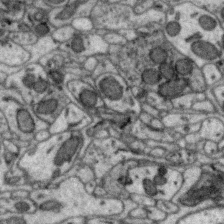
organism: Zebra finch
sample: Brain